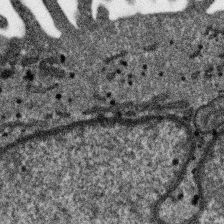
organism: Human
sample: Lung epithelial cells infected with SARS-CoV-2